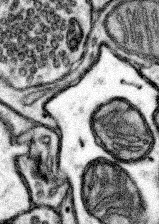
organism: Mouse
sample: Somatosensory cortex neuropil